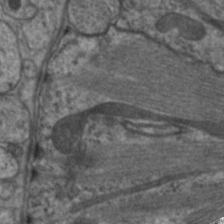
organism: C. elegans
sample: Pharynx